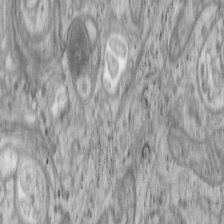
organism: Human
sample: HeLa cells